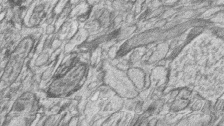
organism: Zebrafish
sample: synaptic ribbons in rod cells and cone cells